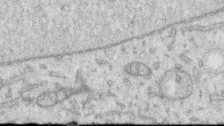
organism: Human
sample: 1205lu cells